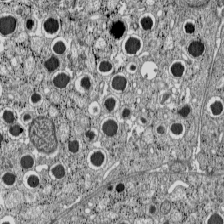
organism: C57BL Mouse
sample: Pancreatic islet